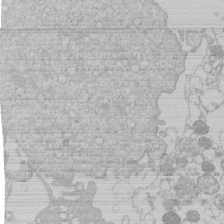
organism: Human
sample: Macrophage cells